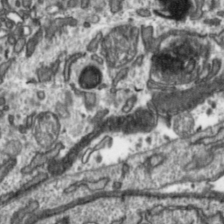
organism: Toxoplasma gondii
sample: Parasites in a vacuole inside a host cell